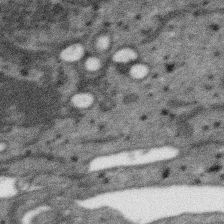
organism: Human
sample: Lung epithelial cells infected with SARS-CoV-2